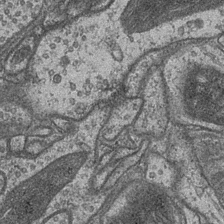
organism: Drosophila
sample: Optic medulla